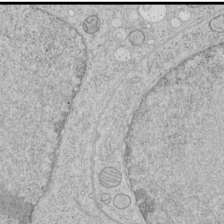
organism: Human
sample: Mitochondria in HCT116 cells